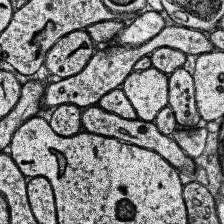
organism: Human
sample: Temporal Lobe